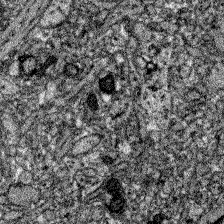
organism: Zebrafish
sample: Larval olfactory bulb